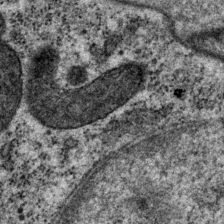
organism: P. pacificus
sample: Pharynx